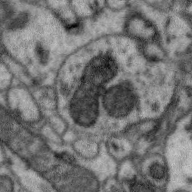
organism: Zebra finch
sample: Brain